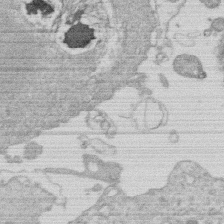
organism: Human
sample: Macrophage cells